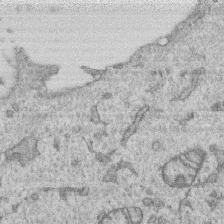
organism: Human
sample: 1205lu cells